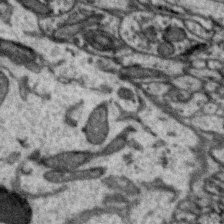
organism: Zebra finch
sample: Brain